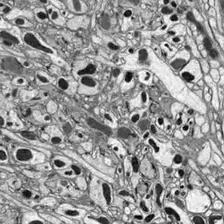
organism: Drosophila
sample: Optic lobe